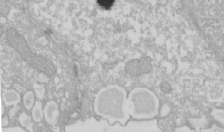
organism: Xenopus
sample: Cilia; centrioles in frog embryo cells